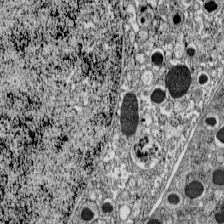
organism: C57BL Mouse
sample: Pancreatic islet